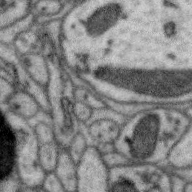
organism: Zebra finch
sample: Brain